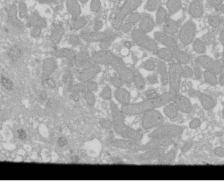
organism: Xenopus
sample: Cilia; centrioles in frog embryo cells